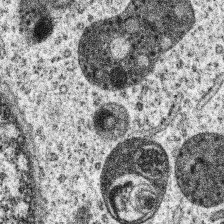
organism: Human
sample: HeLa cells